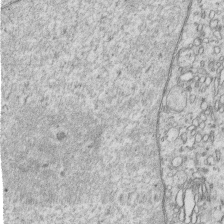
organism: Human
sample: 1205lu cells